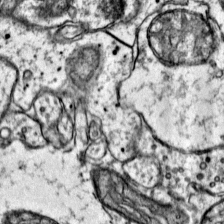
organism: Mouse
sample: Primary visual cortex